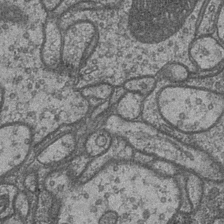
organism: Drosophila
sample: Optic medulla